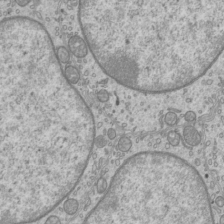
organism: Mouse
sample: Cilia; mouse epididymis